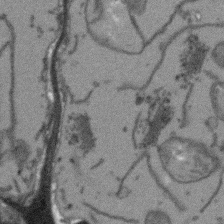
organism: Arabidopsis thaliana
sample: Root tip